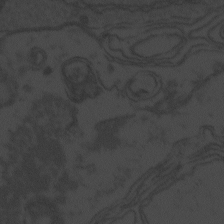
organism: Zebrafish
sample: Macrophage infected with Toxoplasma gondii